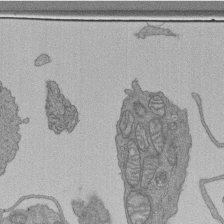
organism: Human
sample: Retinal organoid Rod and Cone cells